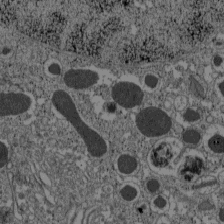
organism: C57BL Mouse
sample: Pancreatic islet